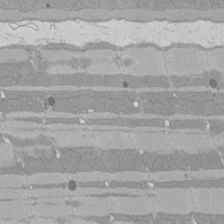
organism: Rat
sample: Left ventricle